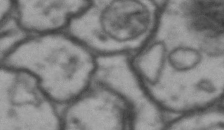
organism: Drosophila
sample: Brain